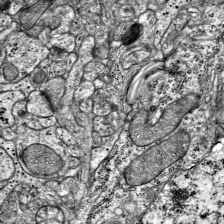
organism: Mouse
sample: Visual Cortex